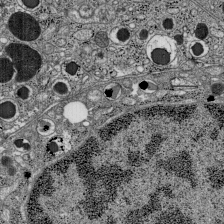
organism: C57BL Mouse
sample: Pancreatic islet